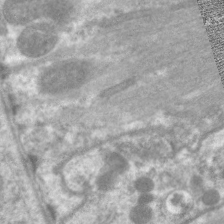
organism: C. elegans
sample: Pharynx